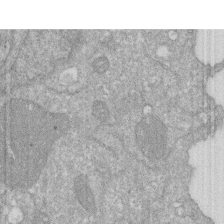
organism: Human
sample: HIV infected U937 cells